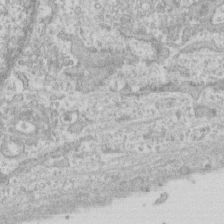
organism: Human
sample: CRL-1474